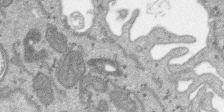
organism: Human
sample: Lung epithelial cells infected with SARS-CoV-2